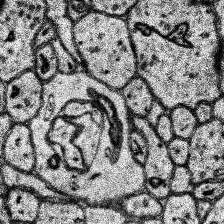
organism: Human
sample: Temporal Lobe